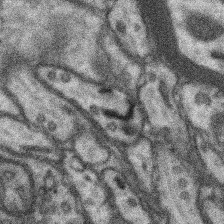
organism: Mouse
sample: Somatosensory cortex neuropil